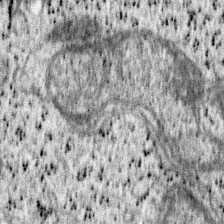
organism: Human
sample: HeLa cells